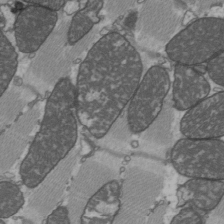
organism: C57BL Mouse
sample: Heart